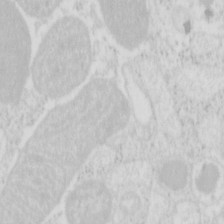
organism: Mouse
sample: Pancreas